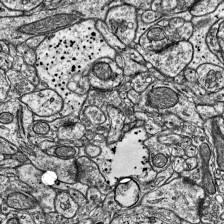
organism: Mouse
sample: Visual Cortex